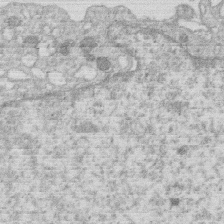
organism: Human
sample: Macrophage cells